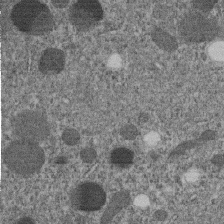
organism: C. elegans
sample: C. elegans embryo early stage